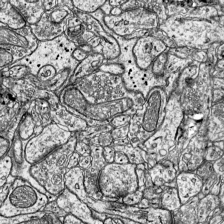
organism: Mouse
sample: Visual Cortex